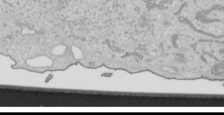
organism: Human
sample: Mitochondria in HCT116 cells